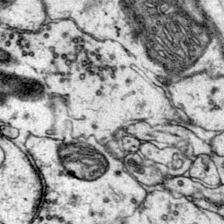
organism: Mouse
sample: Primary visual cortex